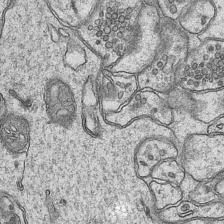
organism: Mouse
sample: CA1 Hippocampus